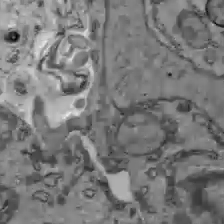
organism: C57BL Mouse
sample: Liver